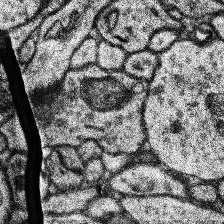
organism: Human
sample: Temporal Lobe